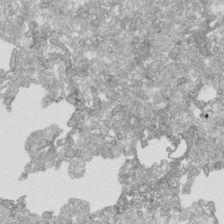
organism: Human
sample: Mitochondria in HCT116 cells